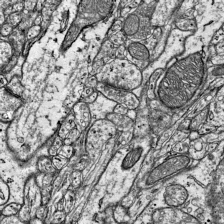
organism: Mouse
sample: Visual Cortex